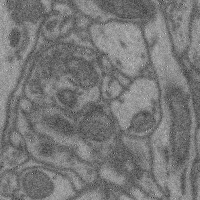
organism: Mouse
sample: Cerebral cortex